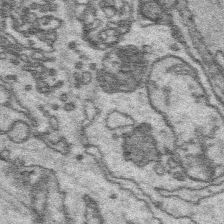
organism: Platynereis dumerilii